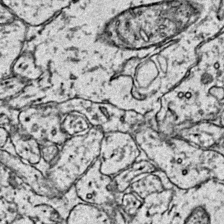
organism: Mouse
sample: Primary visual cortex